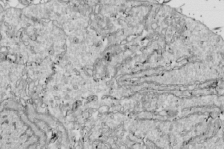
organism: Drosophila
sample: Cell division; meiosis; drosophila spermatocytes